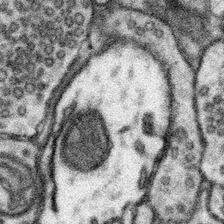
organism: Mouse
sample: Somatosensory cortex neuropil